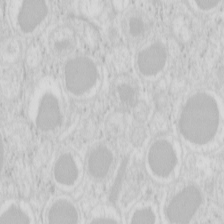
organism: Mouse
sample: Pancreas